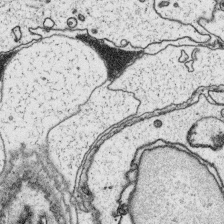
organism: Platynereis dumerilii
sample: Parapodia